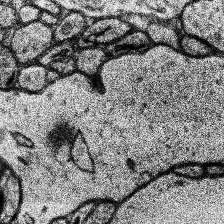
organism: Human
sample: Temporal Lobe